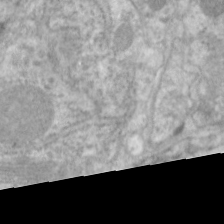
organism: C. elegans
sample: Pharynx